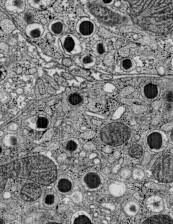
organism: C57BL Mouse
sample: Pancreatic islet